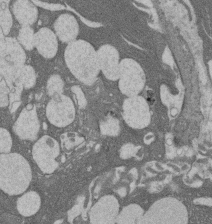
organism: Rat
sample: Salivary granule